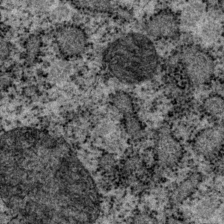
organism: P. pacificus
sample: Pharynx